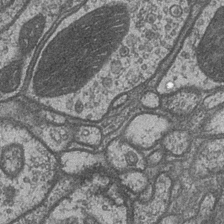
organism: Drosophila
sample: Optic medulla